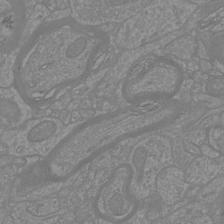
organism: Mouse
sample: Cortical neurons